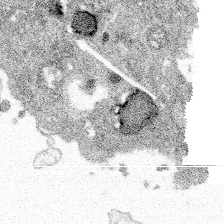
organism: Spongilla lacustris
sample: Multiple